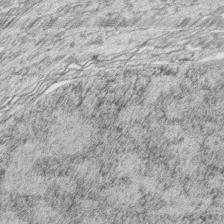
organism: Zebrafish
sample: synaptic ribbons in rod cells and cone cells